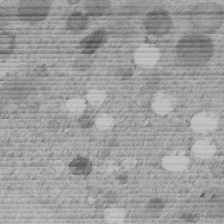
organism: C. elegans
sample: C. elegans embryo early stage